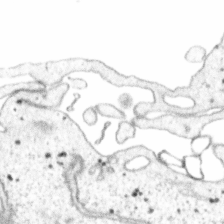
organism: Human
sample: HeLa cells